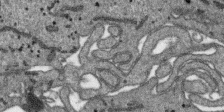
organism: Human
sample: Lung epithelial cells, uninfected (mock) control